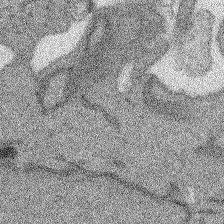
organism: Human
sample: HeLa cells